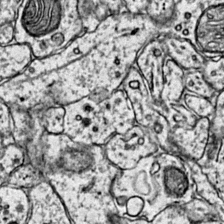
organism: Mouse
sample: Primary visual cortex